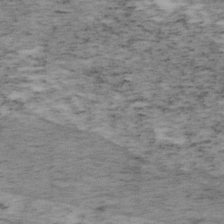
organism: Mouse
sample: OT-I killer T cells with ID8 ovarian cancer cells